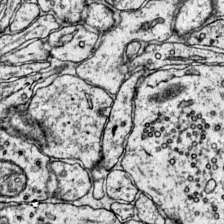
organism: Mouse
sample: Primary visual cortex